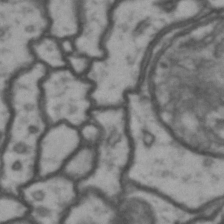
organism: Drosophila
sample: Brain